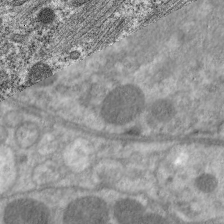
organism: C. elegans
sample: Pharynx